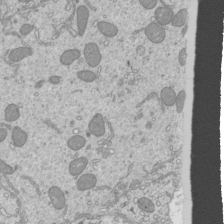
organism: Mouse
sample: Cilia; mouse epididymis